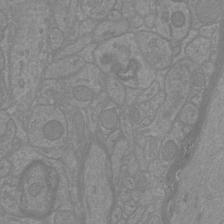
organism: Mouse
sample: Cortical neurons